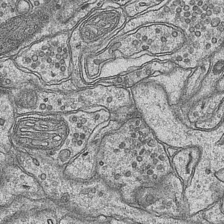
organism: Mouse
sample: CA1 Hippocampus